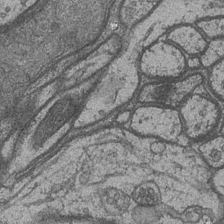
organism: Drosophila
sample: Optic medulla